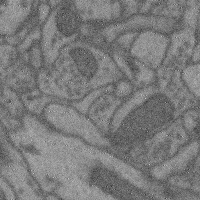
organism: Mouse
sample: Cerebral cortex